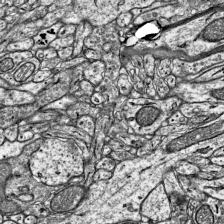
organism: Mouse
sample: Visual Cortex